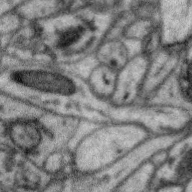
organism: Zebra finch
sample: Brain